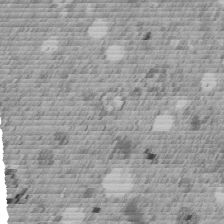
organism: C. elegans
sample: C. elegans embryo early stage